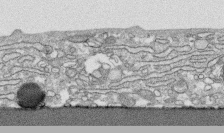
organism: Human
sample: CRL-1474